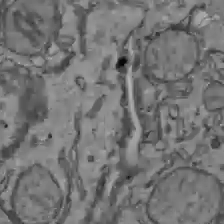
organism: C57BL Mouse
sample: Liver